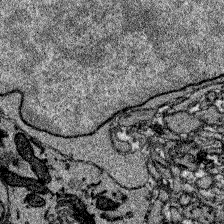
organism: Zebrafish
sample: Larval olfactory bulb